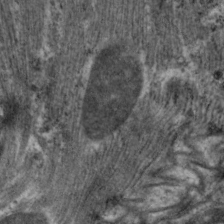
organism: C. elegans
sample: Pharynx